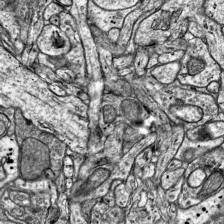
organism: Mouse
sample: Visual Cortex